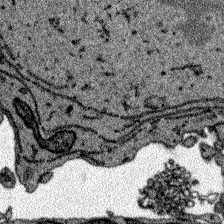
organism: Zebrafish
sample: Larval olfactory bulb